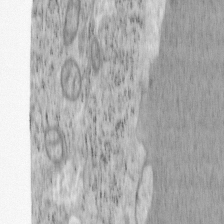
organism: Human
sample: HeLa cells